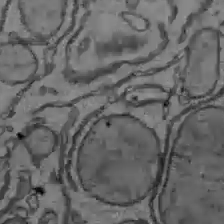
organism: C57BL Mouse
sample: Liver